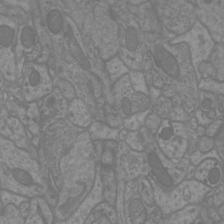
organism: Mouse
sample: Cortical neurons